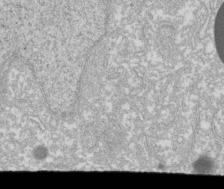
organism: Xenopus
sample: Cilia; centrioles in frog embryo cells